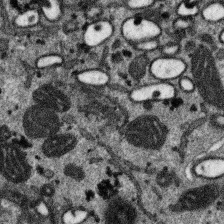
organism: Human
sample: Lung epithelial cells infected with SARS-CoV-2